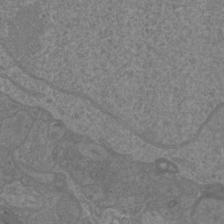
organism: Mouse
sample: Cortical neurons